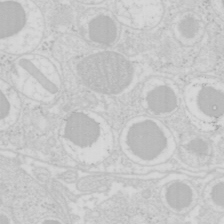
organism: Mouse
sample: Pancreas